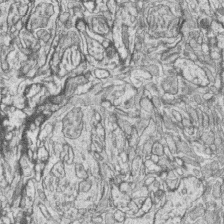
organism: Zebrafish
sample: synaptic ribbons in rod cells and cone cells